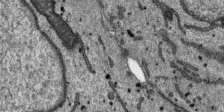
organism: Human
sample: Lung epithelial cells, uninfected (mock) control